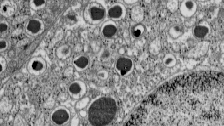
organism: C57BL Mouse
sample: Pancreatic islet